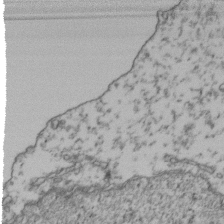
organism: Human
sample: Activated Jurkat CD4+ T cells